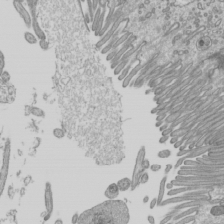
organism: Mouse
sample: Cilia; mouse epididymis